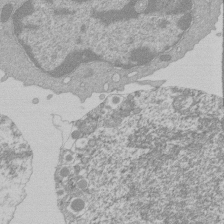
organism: Mouse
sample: Activated Pmel transgenic CD8+ T Cells